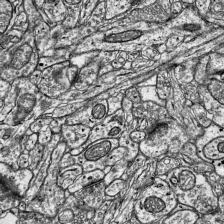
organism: Mouse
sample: Visual Cortex